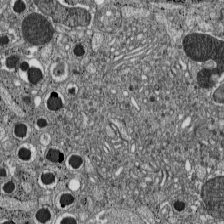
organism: C57BL Mouse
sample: Pancreatic islet